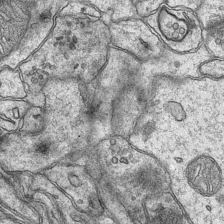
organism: Mouse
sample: CA1 Hippocampus